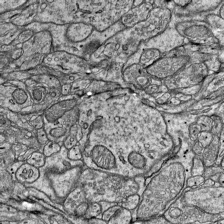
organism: Mouse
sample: Visual Cortex